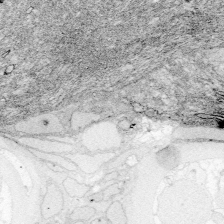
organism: Zebrafish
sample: Whole-Brain